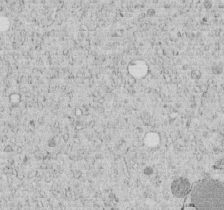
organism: C. elegans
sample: C. elegans embryo early stage